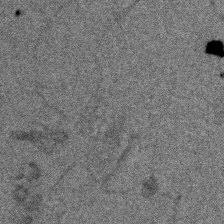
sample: Trachea